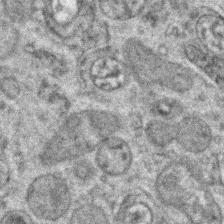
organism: Zebrafish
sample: Zebrafish embryo